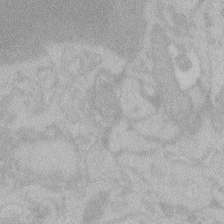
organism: Zebrafish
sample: Macrophage infected with Toxoplasma gondii